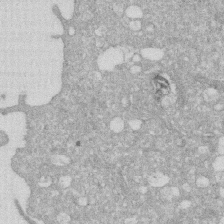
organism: Human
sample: HIV infected U937 cells